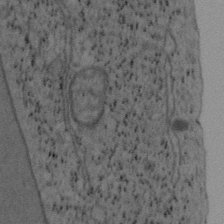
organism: Human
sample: HeLa cells